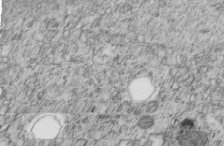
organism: C. elegans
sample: C. elegans embryo early stage